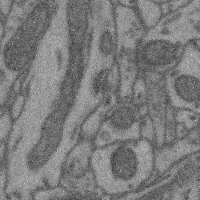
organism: Mouse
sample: Cerebral cortex